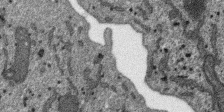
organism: Human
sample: Lung epithelial cells infected with SARS-CoV-2